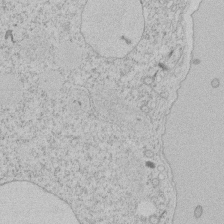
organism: Tetrahymena